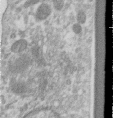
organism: Human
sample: Centriole in RPE cells